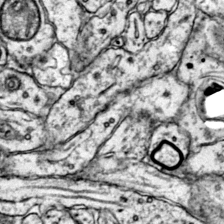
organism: Mouse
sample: Primary visual cortex